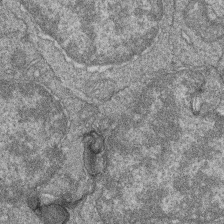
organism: Zebrafish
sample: Cilia; retinal pigment epithelium